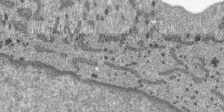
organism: Human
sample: Lung epithelial cells infected with SARS-CoV-2